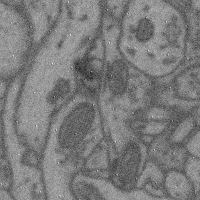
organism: Mouse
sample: Cerebral cortex